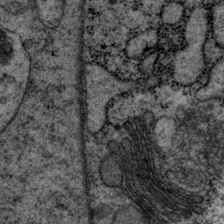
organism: P. pacificus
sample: Pharynx